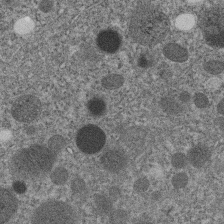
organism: C. elegans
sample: C. elegans embryo early stage